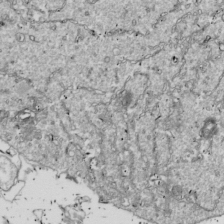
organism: Drosophila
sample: Cell division; meiosis; drosophila spermatocytes